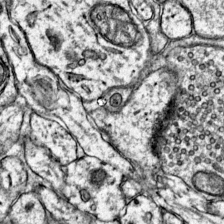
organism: Mouse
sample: Primary visual cortex